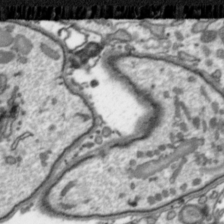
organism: Toxoplasma gondii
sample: Parasites in a vacuole inside a host cell